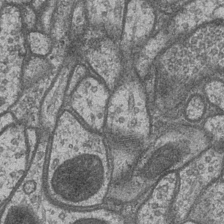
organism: Drosophila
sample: Optic medulla